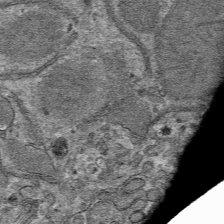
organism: Mouse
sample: Mouse hepatocytes